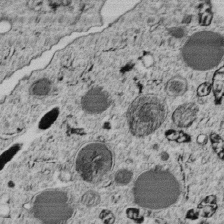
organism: C. elegans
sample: C. elegans embryo early stage